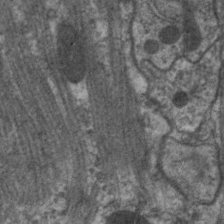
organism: C. elegans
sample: Pharynx